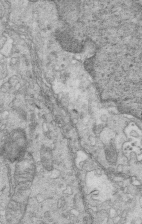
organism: Mouse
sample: Multiciliated cells